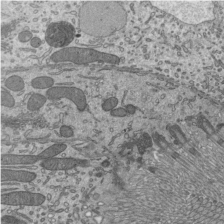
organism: Mouse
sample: Mouse epididymis efferent ductule cilia